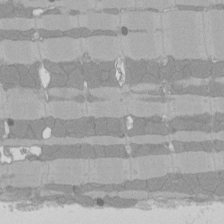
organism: Rat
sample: Left ventricle